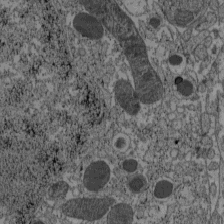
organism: C57BL Mouse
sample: Pancreatic islet